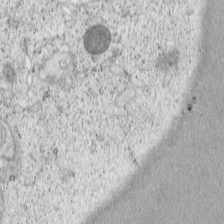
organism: African green monkey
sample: COS-7 cells